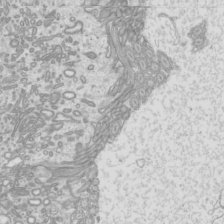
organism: Mouse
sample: Cilia; mouse epididymis